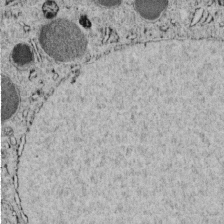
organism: C. elegans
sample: C. elegans embryo early stage